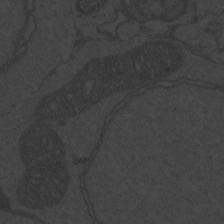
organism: Zebrafish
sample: Macrophage infected with Toxoplasma gondii